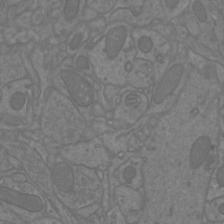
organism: Mouse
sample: Cortical neurons